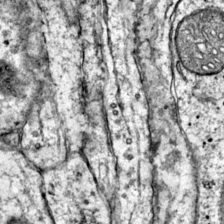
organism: Mouse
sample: Primary visual cortex